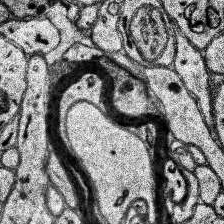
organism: Human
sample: Temporal Lobe